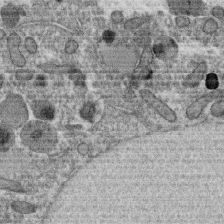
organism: C. elegans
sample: C. elegans oocyte; sperm cells